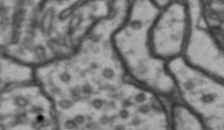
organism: Drosophila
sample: Brain